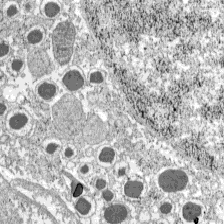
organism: C57BL Mouse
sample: Pancreatic islet